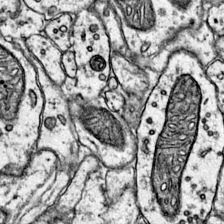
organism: Mouse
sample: Primary visual cortex